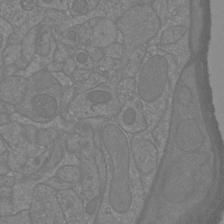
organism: Mouse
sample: Cortical neurons